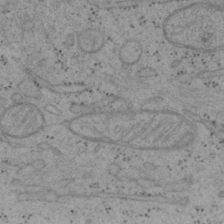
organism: Human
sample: HeLa cells